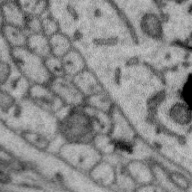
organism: Zebra finch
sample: Brain